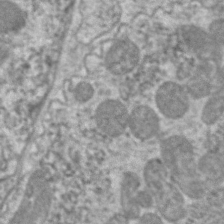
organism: C. elegans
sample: Pharynx